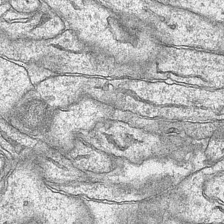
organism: Mouse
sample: CA1 Hippocampus